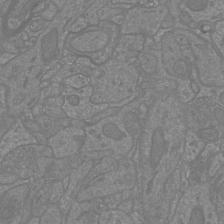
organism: Mouse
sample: Cortical neurons